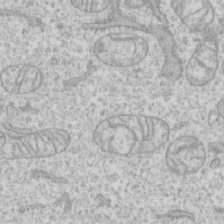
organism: Human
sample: CRL-1474